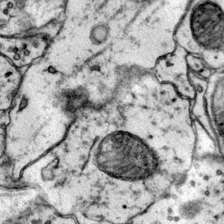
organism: Mouse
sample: Primary visual cortex